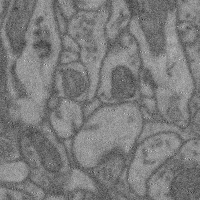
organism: Mouse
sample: Cerebral cortex